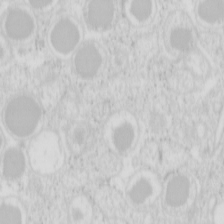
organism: Mouse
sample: Pancreas